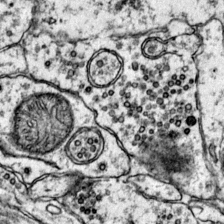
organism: Mouse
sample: Primary visual cortex